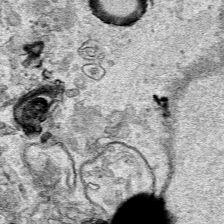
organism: Human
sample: Mitochondria in HCT116 cells